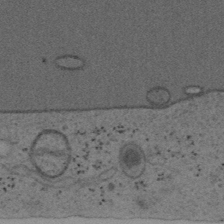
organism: Human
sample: HeLa cells